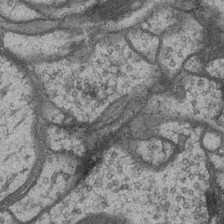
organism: Drosophila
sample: Optic medulla